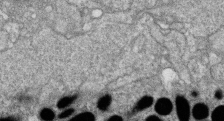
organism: Zebrafish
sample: Cilia; retinal pigment epithelium